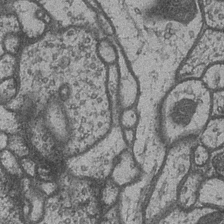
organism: Drosophila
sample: Optic medulla